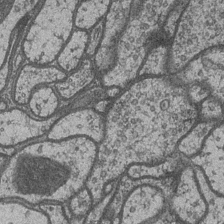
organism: Drosophila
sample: Optic medulla